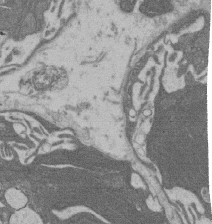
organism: Rat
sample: Salivary granule